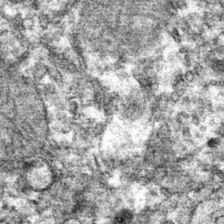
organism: Mouse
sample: Mouse hepatocytes